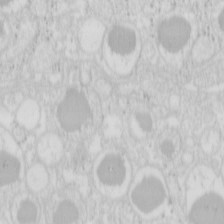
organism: Mouse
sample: Pancreas